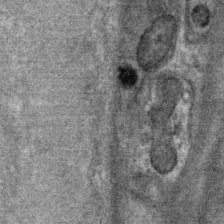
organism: Mouse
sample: Mouse Salivary gland